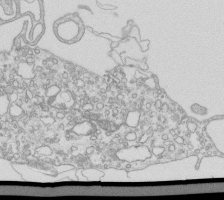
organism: Mouse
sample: Macrophages